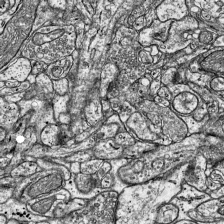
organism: Mouse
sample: Visual Cortex